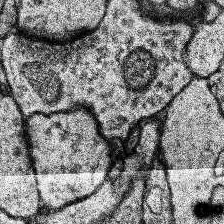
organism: Human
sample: Temporal Lobe